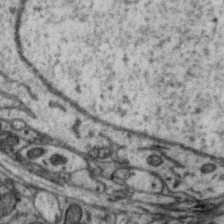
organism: Zebra finch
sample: Brain